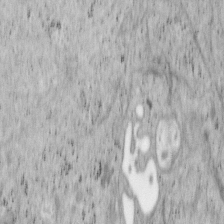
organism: Human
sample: HeLa cells